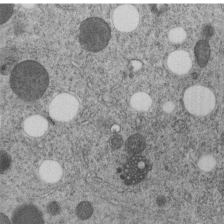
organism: C. elegans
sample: C. elegans embryo early stage